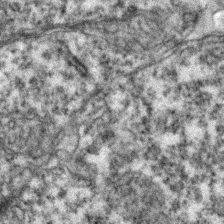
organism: Zebrafish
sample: Zebrafish embryo